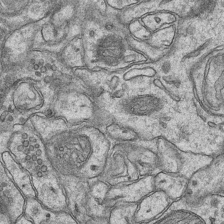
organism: Mouse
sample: CA1 Hippocampus